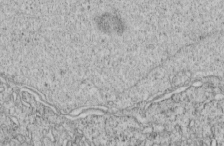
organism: C. elegans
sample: C. elegans embryo early stage